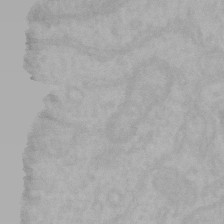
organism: Mouse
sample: Choroid plexus